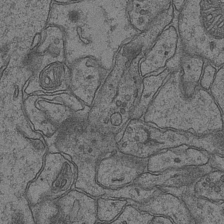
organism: Mouse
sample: CA1 Hippocampus